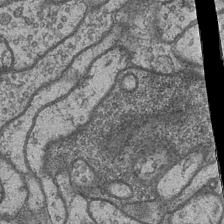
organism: Drosophila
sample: Optic medulla